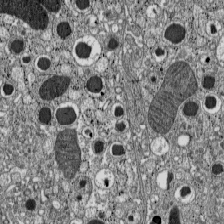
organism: C57BL Mouse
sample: Pancreatic islet